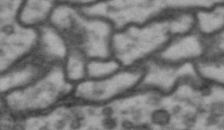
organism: Drosophila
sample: Brain